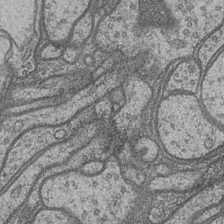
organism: Drosophila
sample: Optic medulla